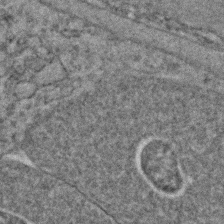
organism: C. elegans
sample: C. elegans embryo